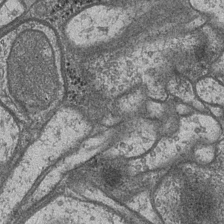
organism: Drosophila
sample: Optic medulla